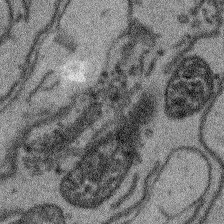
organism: Arabidopsis thaliana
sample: Root tip